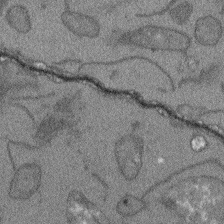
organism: Arabidopsis thaliana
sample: Root tip